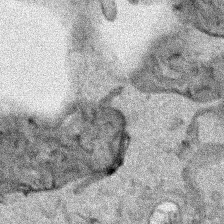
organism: Human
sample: Mitochondria in HCT116 cells